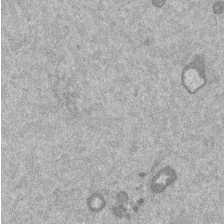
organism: Mouse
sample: Dividing mouse embryo 1 cell stage